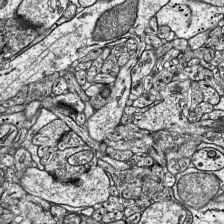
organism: Mouse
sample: Visual Cortex